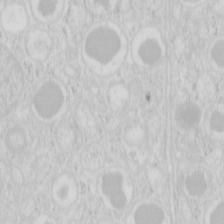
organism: Mouse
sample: Pancreas